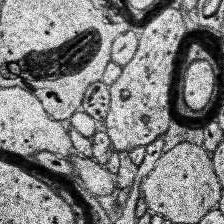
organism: Human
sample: Temporal Lobe